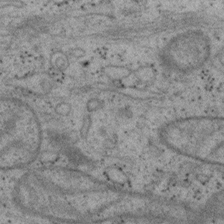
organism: Human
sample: HeLa cells